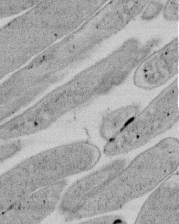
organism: E. coli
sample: Bacterial nucleoid